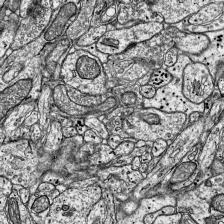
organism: Mouse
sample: Visual Cortex